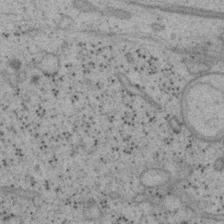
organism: Human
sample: HeLa cells